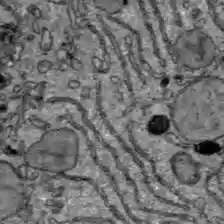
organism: C57BL Mouse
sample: Liver